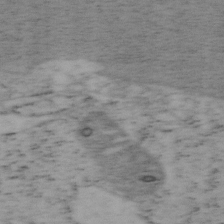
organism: Mouse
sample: OT-I killer T cells with ID8 ovarian cancer cells